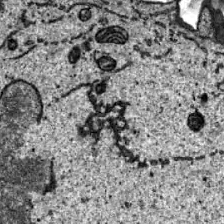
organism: Human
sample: HeLa cells